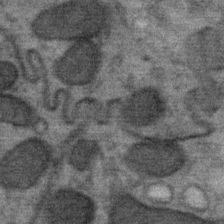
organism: Mouse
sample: Mouse Salivary gland